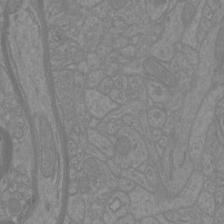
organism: Mouse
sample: Cortical neurons